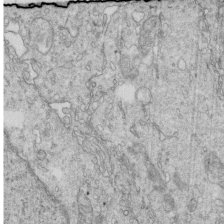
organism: Mouse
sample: Multiciliated cells